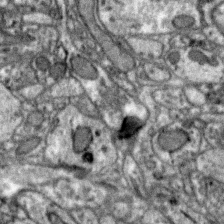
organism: Zebra finch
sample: Brain